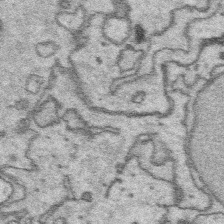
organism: Platynereis dumerilii